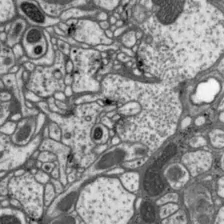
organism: Drosophila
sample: Protocerebral bridge